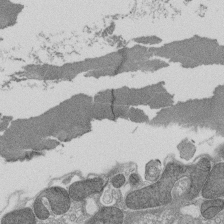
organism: Tetrahymena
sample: Cilia in tetrahymena